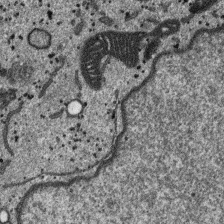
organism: Human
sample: Lung epithelial cells infected with SARS-CoV-2